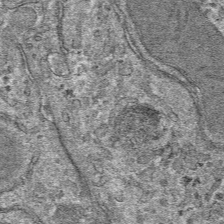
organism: Mouse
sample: Mouse hepatocytes